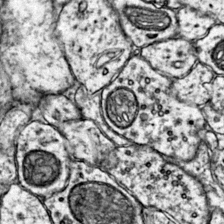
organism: Mouse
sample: Primary visual cortex